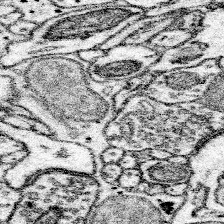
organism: Mouse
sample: Somatosensory cortex neuropil